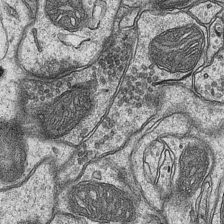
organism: Mouse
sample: CA1 Hippocampus